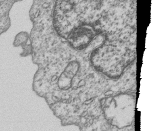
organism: Human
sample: MDA-MB-231 cells